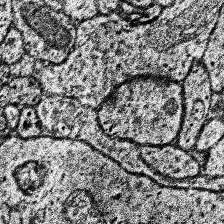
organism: Human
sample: Temporal Lobe